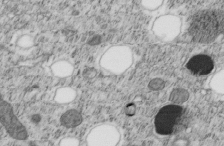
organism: C. elegans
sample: C. elegans embryo early stage